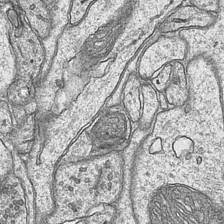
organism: Mouse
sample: CA1 Hippocampus